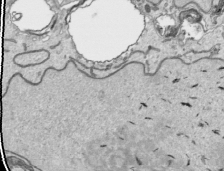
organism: Human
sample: Mitochondria in HCT116 cells